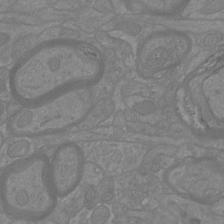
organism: Mouse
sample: Cortical neurons